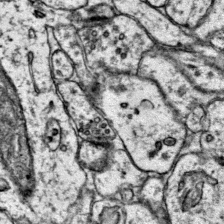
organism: Mouse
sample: Primary visual cortex